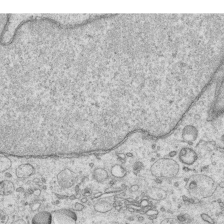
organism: Human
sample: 1205lu cells